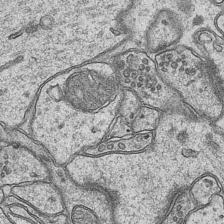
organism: Mouse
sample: CA1 Hippocampus